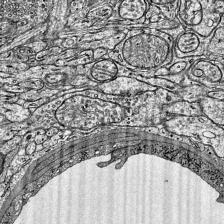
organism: Mouse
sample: Visual Cortex